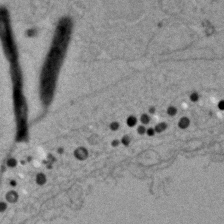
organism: Zebrafish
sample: Zebrafish embryo